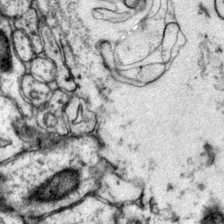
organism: Mouse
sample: Primary visual cortex